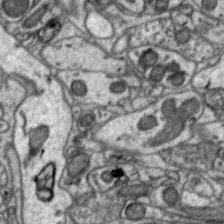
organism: Zebra finch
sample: Brain